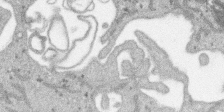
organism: Human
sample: Lung epithelial cells infected with SARS-CoV-2